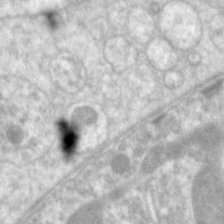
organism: C. elegans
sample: Pharynx